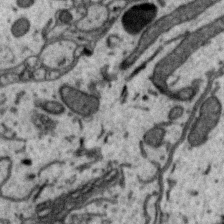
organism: Zebra finch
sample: Brain